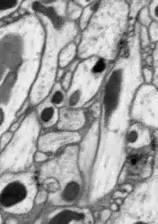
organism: Drosophila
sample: Optic lobe